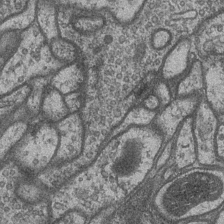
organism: Drosophila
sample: Optic medulla